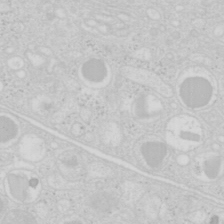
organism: Mouse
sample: Pancreas